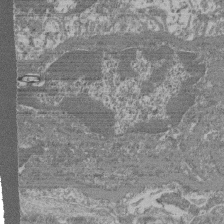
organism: Mouse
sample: Glomerulus